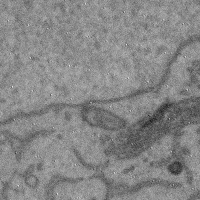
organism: Mouse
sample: Cerebral cortex